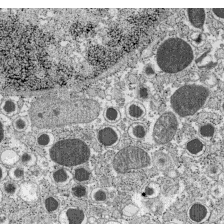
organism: C57BL Mouse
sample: Pancreatic islet